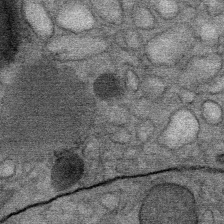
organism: Mouse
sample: Mouse Salivary gland